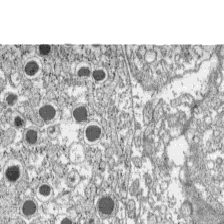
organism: C57BL Mouse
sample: Pancreatic islet